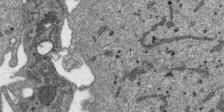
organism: Human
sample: Lung epithelial cells infected with SARS-CoV-2